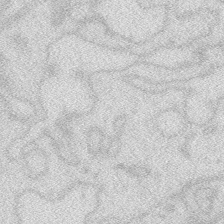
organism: Zebrafish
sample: Macrophage